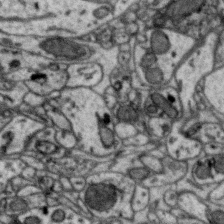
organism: Zebra finch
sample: Brain